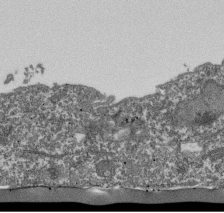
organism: Dictyostelium discoideum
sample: Dictyostelium multivesicular bodies